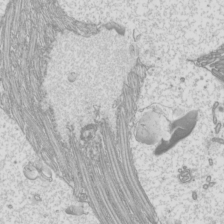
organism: Mouse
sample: Cilia; mouse epididymis